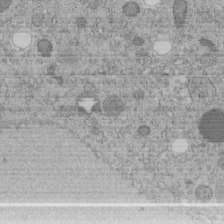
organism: C. elegans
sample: C. elegans embryo early stage